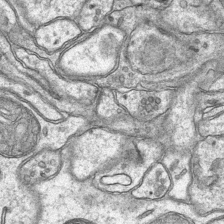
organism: Mouse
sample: CA1 Hippocampus